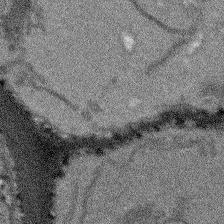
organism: Arabidopsis thaliana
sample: Root tip